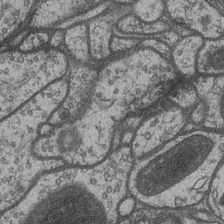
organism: Drosophila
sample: Optic medulla